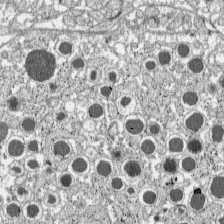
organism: C57BL Mouse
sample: Pancreatic islet